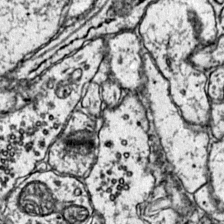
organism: Mouse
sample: Primary visual cortex